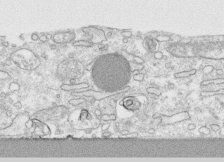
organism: Human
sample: CRL-1474